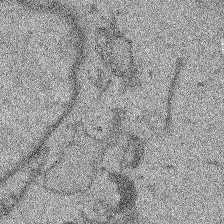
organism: Human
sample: HeLa cells